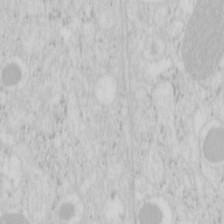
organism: Mouse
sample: Pancreas